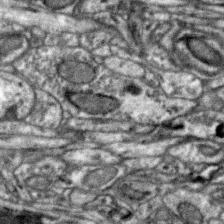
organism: Zebra finch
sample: Brain